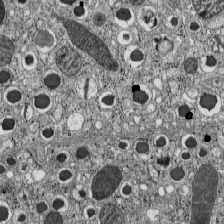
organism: C57BL Mouse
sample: Pancreatic islet